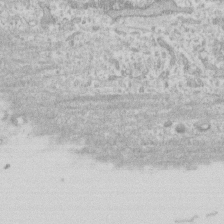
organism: Human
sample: Fibroblast cells